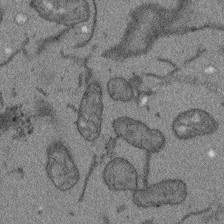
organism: Arabidopsis thaliana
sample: Root tip